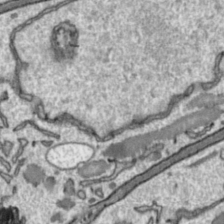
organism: Toxoplasma gondii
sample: Parasites in a vacuole inside a host cell